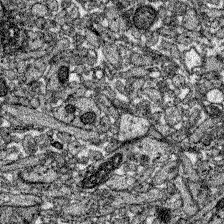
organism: Zebrafish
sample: Larval olfactory bulb